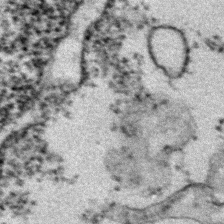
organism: Zebrafish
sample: Zebrafish embryo